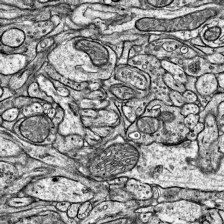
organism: Mouse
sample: Visual Cortex